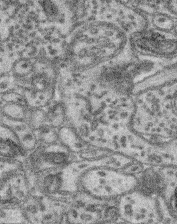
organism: Mouse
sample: Retina